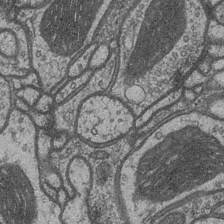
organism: Drosophila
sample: Optic medulla